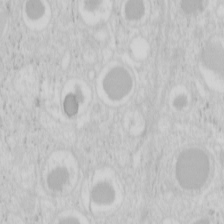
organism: Mouse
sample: Pancreas